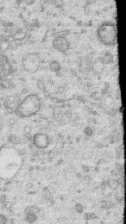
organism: Human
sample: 1205lu cells